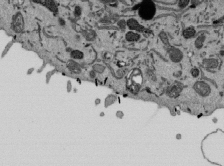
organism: Mouse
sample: ED-1 cell nuclei; centrioles